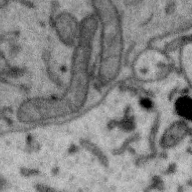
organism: Zebra finch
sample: Brain